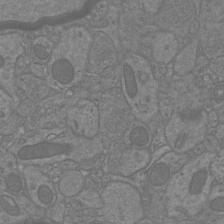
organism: Mouse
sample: Cortical neurons